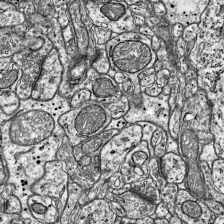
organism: Mouse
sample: Visual Cortex